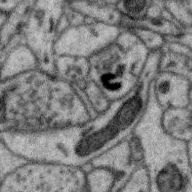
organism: Zebra finch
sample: Brain